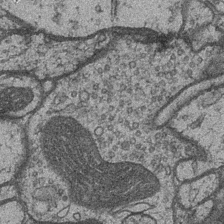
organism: Drosophila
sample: Optic medulla